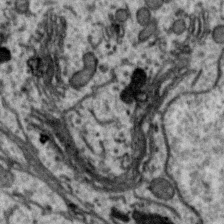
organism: Zebra finch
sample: Brain